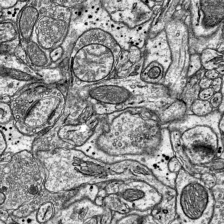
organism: Mouse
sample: Visual Cortex